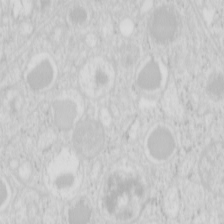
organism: Mouse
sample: Pancreas